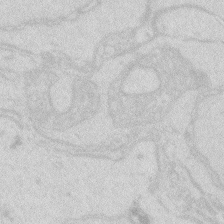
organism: Zebrafish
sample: Macrophage